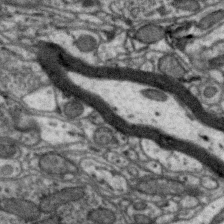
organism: Zebra finch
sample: Brain